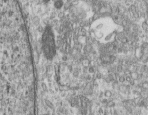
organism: Human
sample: Centriole in RPE cells